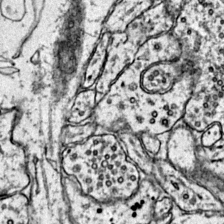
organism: Mouse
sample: Primary visual cortex